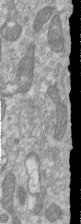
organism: Human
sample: Centriole in RPE cells